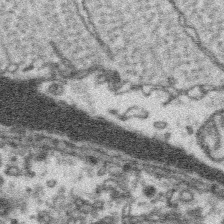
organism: Platynereis dumerilii